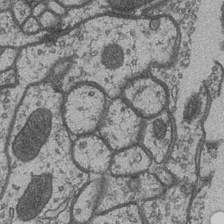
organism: Drosophila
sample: Optic medulla